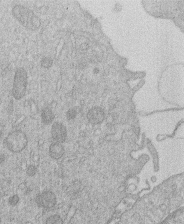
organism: Human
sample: Macrophage cells